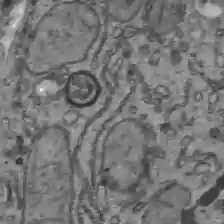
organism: C57BL Mouse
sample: Liver